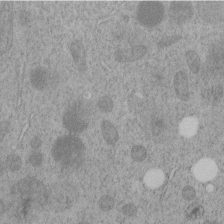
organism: C. elegans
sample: C. elegans embryo early stage